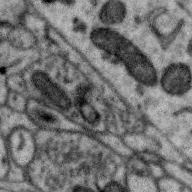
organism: Zebra finch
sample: Brain